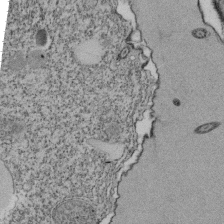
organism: Tetrahymena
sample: Cilia in tetrahymena